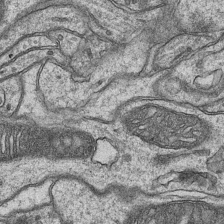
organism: Mouse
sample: CA1 Hippocampus